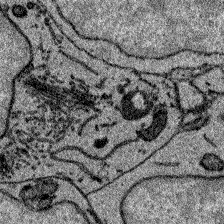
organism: Zebrafish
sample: Larval olfactory bulb